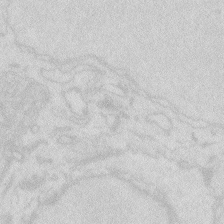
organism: Zebrafish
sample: Macrophage